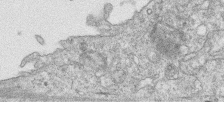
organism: Human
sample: HeLa cell HIV synapse